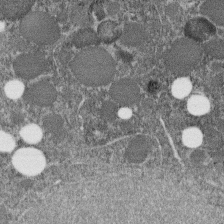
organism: C. elegans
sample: C. elegans embryo early stage